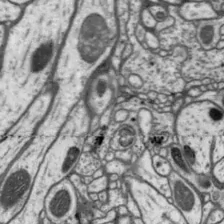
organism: Drosophila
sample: Protocerebral bridge